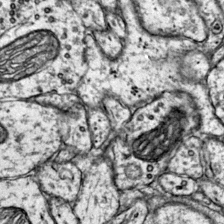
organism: Mouse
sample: Primary visual cortex